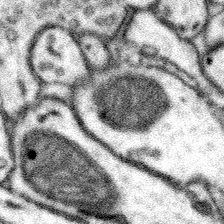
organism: Mouse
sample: Somatosensory cortex neuropil